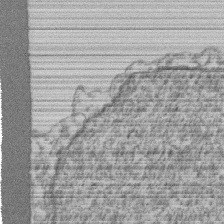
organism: Mouse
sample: T cell stromal cell synapse